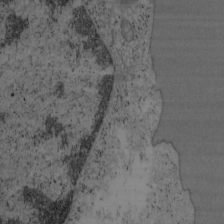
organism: Mouse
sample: OT-I killer T cells with ID8 ovarian cancer cells